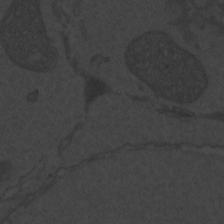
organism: Zebrafish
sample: Macrophage infected with Toxoplasma gondii